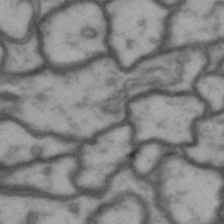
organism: Drosophila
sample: Brain